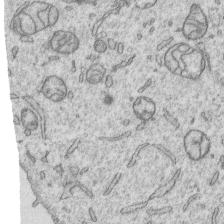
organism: Human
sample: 1205lu cells